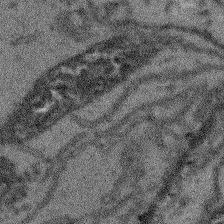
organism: Arabidopsis thaliana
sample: Root tip